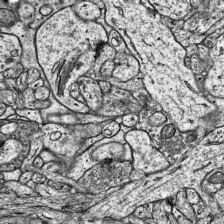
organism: Mouse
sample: Visual Cortex